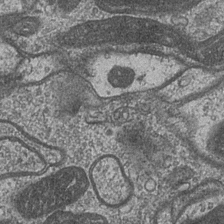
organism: Drosophila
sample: Optic medulla